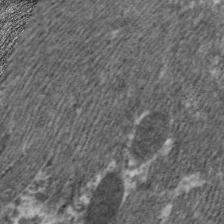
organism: C. elegans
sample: Pharynx